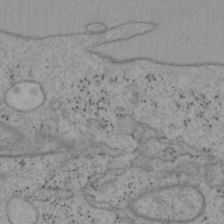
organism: Human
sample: HeLa cells